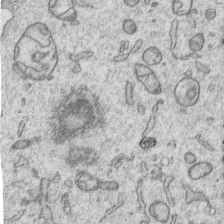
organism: Human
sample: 1205lu cells